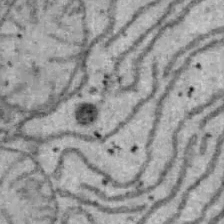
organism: Mouse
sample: Liver from an obese (ob/ob) mouse